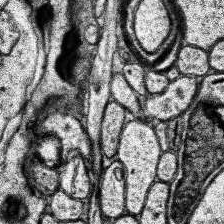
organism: Human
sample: Temporal Lobe